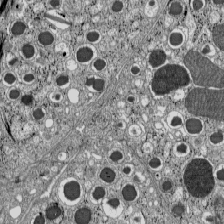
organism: C57BL Mouse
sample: Pancreatic islet